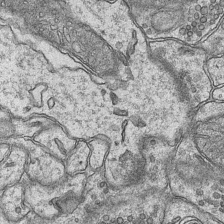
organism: Mouse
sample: CA1 Hippocampus